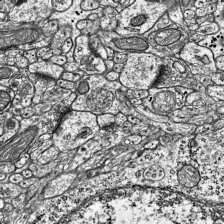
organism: Mouse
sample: Visual Cortex